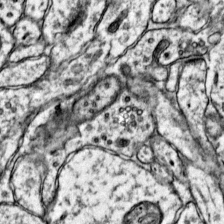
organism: Mouse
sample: Primary visual cortex